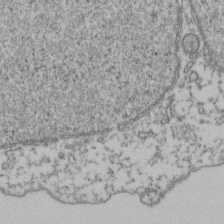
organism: Human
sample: Activated Jurkat CD4+ T cells